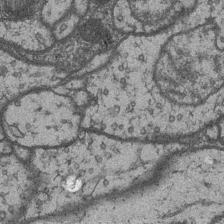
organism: Drosophila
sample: Optic medulla